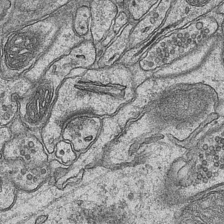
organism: Mouse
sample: CA1 Hippocampus